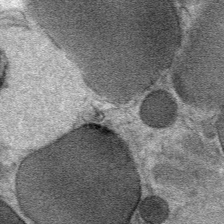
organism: Mouse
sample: Mouse Salivary gland